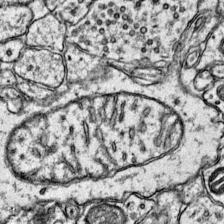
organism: Mouse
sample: Primary visual cortex